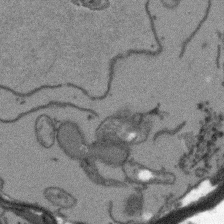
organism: Arabidopsis thaliana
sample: Root tip